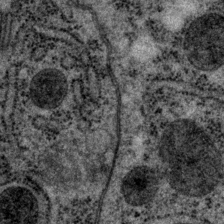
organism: P. pacificus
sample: Pharynx